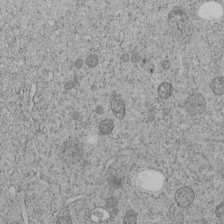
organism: C. elegans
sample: C. elegans embryo early stage